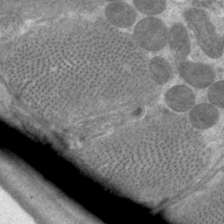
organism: C. elegans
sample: Pharynx